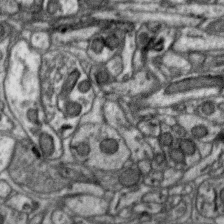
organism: Zebra finch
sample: Brain